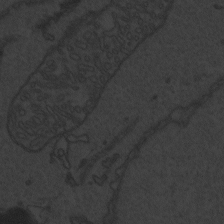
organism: Zebrafish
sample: Macrophage infected with Toxoplasma gondii